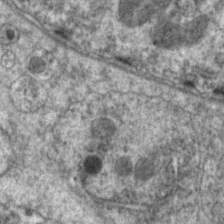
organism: C. elegans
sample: Pharynx